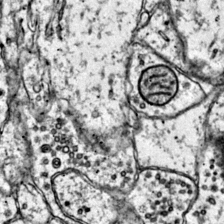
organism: Mouse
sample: Primary visual cortex